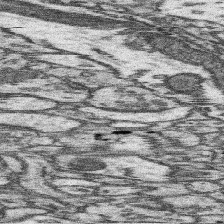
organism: Mouse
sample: Somatosensory cortex neuropil